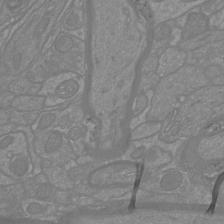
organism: Mouse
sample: Cortical neurons